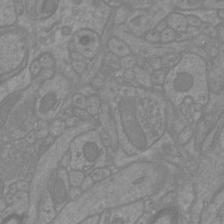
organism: Mouse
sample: Cortical neurons